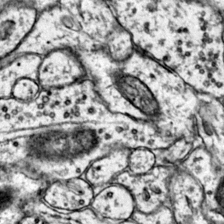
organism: Mouse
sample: Primary visual cortex